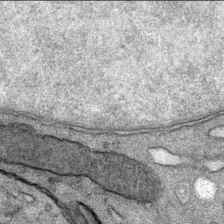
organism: Mouse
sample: Mouse Salivary gland